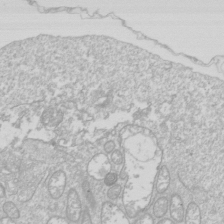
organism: Drosophila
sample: Cell division; meiosis; drosophila spermatocytes